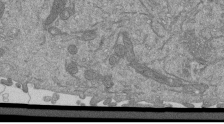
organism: Mouse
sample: ED-1 cell nuclei; centrioles